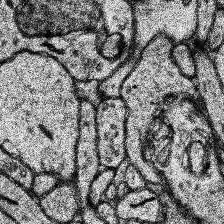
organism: Human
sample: Temporal Lobe